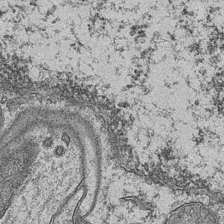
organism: Mouse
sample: CA1 Hippocampus